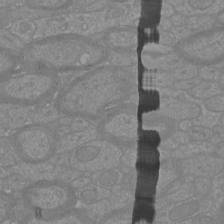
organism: Mouse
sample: Cortical neurons